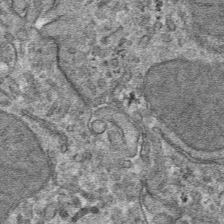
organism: Mouse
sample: Mouse hepatocytes